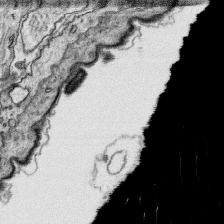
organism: Platynereis dumerilii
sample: Parapodia